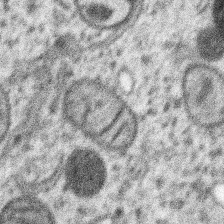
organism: Human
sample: HeLa cells